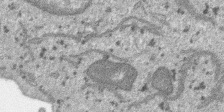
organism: Human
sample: Lung epithelial cells infected with SARS-CoV-2